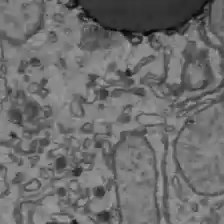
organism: C57BL Mouse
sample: Liver